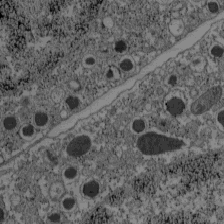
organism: C57BL Mouse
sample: Pancreatic islet